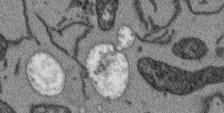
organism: Arabidopsis thaliana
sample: Root tip